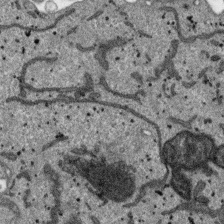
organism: Human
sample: Lung epithelial cells, uninfected (mock) control